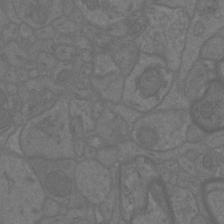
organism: Mouse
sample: Cortical neurons